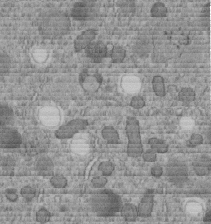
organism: C. elegans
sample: C. elegans embryo early stage